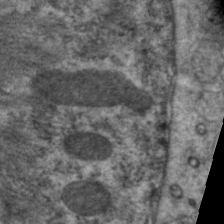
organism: C. elegans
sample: Pharynx